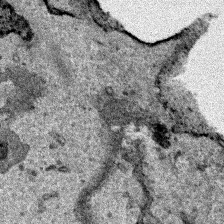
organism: Human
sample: Mitochondria in HCT116 cells